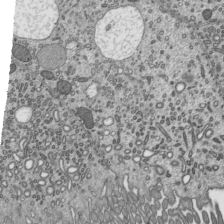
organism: Mouse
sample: Mouse epididymis efferent ductule cilia